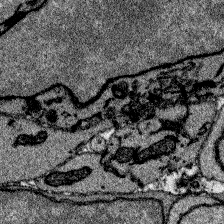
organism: Zebrafish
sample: Larval olfactory bulb